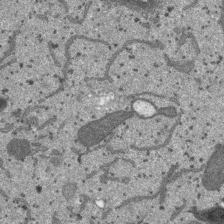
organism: Human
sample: Lung epithelial cells infected with SARS-CoV-2